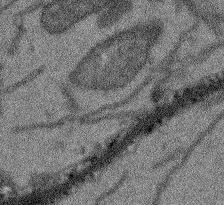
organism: Arabidopsis thaliana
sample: Root tip